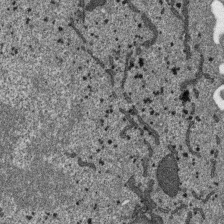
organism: Human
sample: Lung epithelial cells infected with SARS-CoV-2